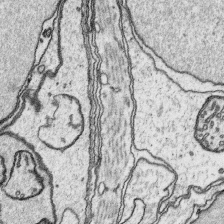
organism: Platynereis dumerilii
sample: Parapodia